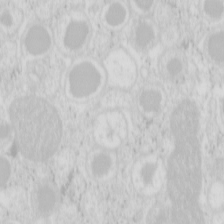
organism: Mouse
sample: Pancreas